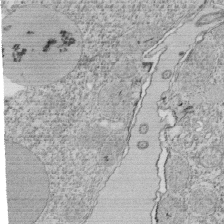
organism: Tetrahymena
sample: Cilia in tetrahymena